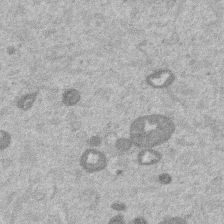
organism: Mouse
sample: Dividing mouse embryo 1 cell stage